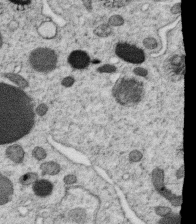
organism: C. elegans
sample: C. elegans oocyte; sperm cells